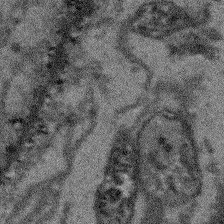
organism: Arabidopsis thaliana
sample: Root tip